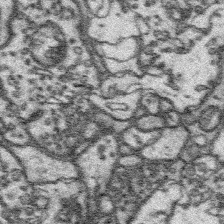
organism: Platynereis dumerilii